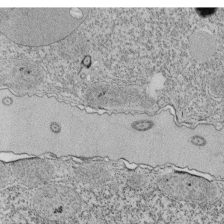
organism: Tetrahymena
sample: Cilia in tetrahymena